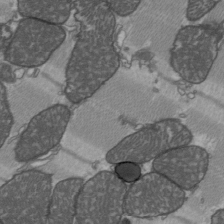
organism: C57BL Mouse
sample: Heart